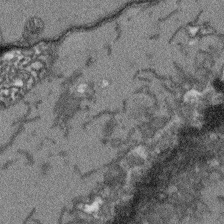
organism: Arabidopsis thaliana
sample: Root tip